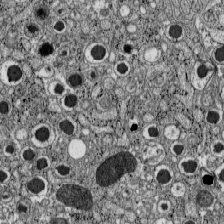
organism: C57BL Mouse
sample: Pancreatic islet